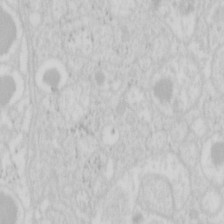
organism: Mouse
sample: Pancreas